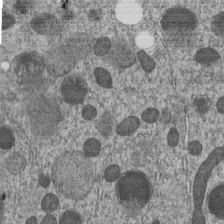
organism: C. elegans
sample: C. elegans embryo early stage